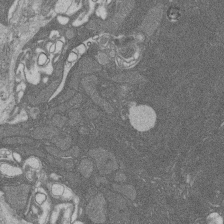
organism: Rat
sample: Salivary granule